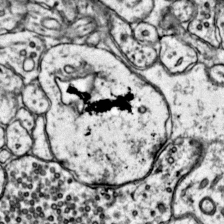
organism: Mouse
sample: Primary visual cortex